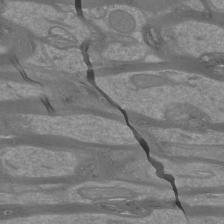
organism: Mouse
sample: Cortical neurons